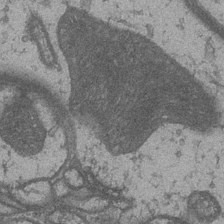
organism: Drosophila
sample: Optic medulla